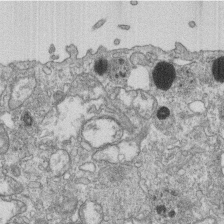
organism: Human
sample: HeLa cell HIV synapse